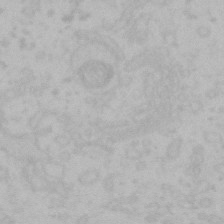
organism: Mouse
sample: Choroid plexus